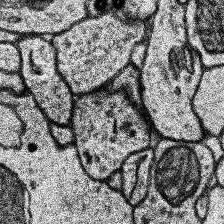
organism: Human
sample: Temporal Lobe